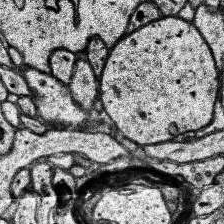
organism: Human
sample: Temporal Lobe